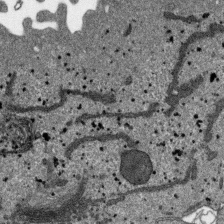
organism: Human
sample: Lung epithelial cells, uninfected (mock) control